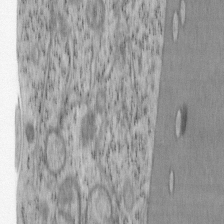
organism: Human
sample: HeLa cells